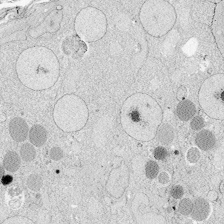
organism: Zebrafish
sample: Whole-Brain